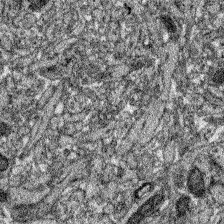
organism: Zebrafish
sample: Larval olfactory bulb